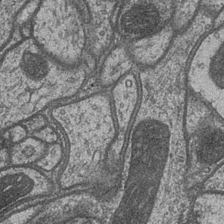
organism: Drosophila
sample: Optic medulla